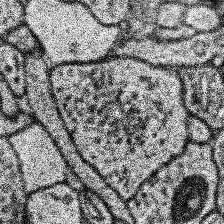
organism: Human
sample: Temporal Lobe